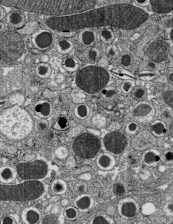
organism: C57BL Mouse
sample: Pancreatic islet